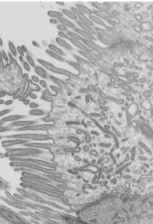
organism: Mouse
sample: Mouse epididymis efferent ductule cilia